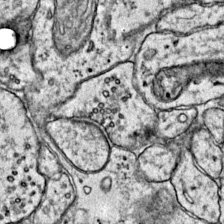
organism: Mouse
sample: Primary visual cortex